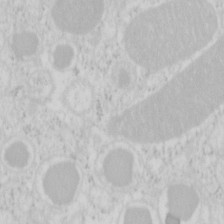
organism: Mouse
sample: Pancreas